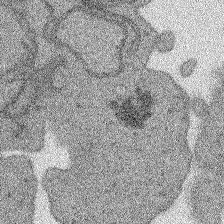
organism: Human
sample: HeLa cells